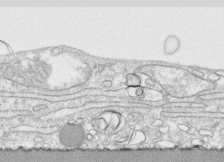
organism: Human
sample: CRL-1474